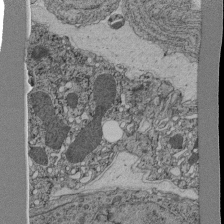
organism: C. elegans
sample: C. elegans pharynx